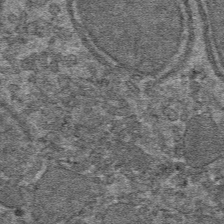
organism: Mouse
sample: Mouse hepatocytes